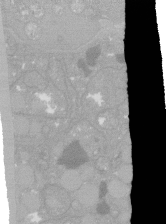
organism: C. elegans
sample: C. elegans oocyte; sperm cells